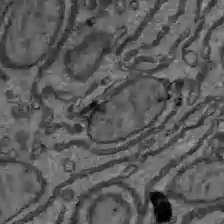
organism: C57BL Mouse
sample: Liver